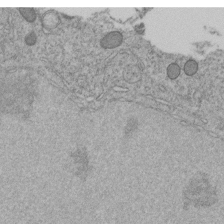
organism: C. elegans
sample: C. elegans embryo early stage